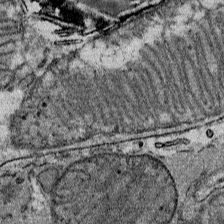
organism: Mouse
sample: Mouse Salivary gland